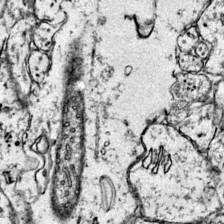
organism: Mouse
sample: Primary visual cortex